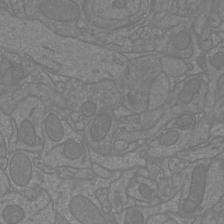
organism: Mouse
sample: Cortical neurons